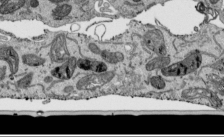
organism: Human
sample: Mitochondria in HCT116 cells